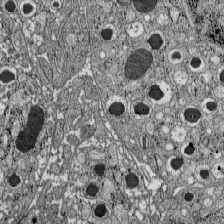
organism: C57BL Mouse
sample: Pancreatic islet